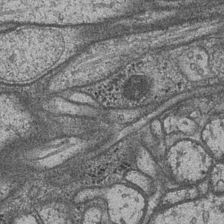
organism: Drosophila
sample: Optic medulla